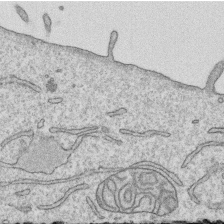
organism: Human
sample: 1205lu cells